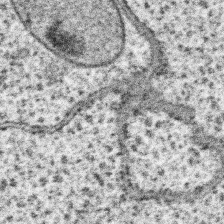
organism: Human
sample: HeLa cells